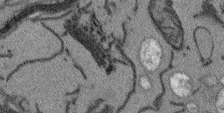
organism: Arabidopsis thaliana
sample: Root tip